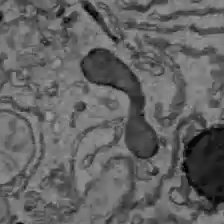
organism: C57BL Mouse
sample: Liver